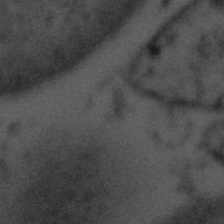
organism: Tuwongella immobilis